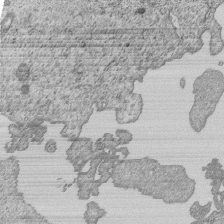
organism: Human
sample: MDA-MB-231 cells